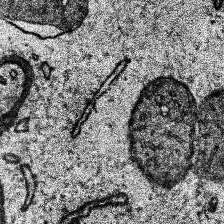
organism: Human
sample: Temporal Lobe